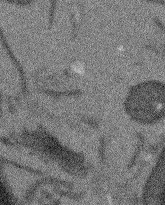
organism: Arabidopsis thaliana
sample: Root tip